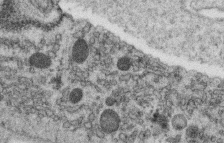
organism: C. elegans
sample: C. elegans oocyte; sperm cells